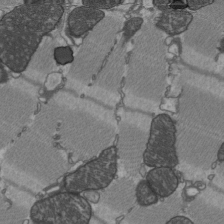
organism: C57BL Mouse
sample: Heart